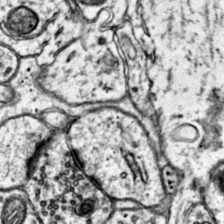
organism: Mouse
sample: Primary visual cortex